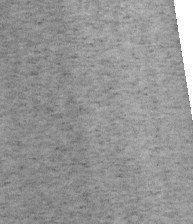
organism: Mouse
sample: OT-I killer T cells with ID8 ovarian cancer cells